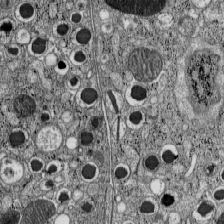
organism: C57BL Mouse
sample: Pancreatic islet